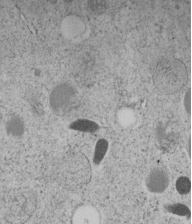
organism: C. elegans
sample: C. elegans embryo early stage